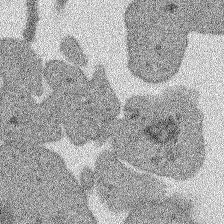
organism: Human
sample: HeLa cells